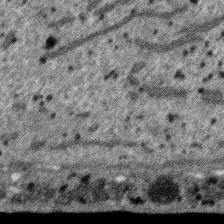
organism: Human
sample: Lung epithelial cells infected with SARS-CoV-2